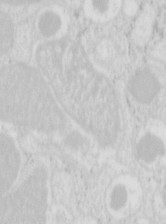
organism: Mouse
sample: Pancreas